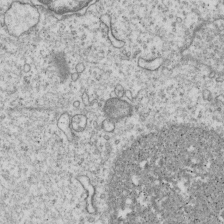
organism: Human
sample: MDA-MB-231 cells